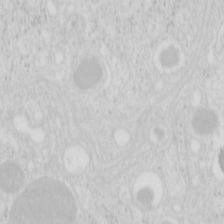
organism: Mouse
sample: Pancreas